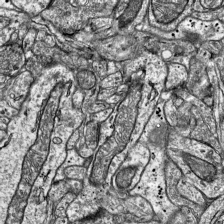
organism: Mouse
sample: Visual Cortex